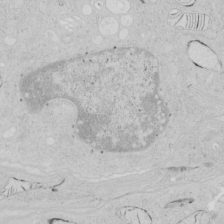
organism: Human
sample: Mitochondria in HCT116 cells